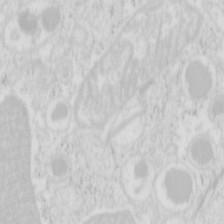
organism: Mouse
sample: Pancreas